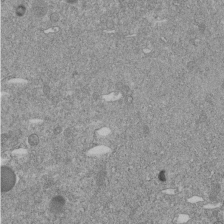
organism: C. elegans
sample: C. elegans embryo early stage